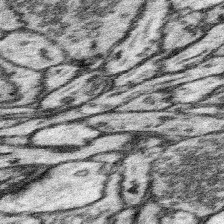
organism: Mouse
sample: Somatosensory cortex neuropil